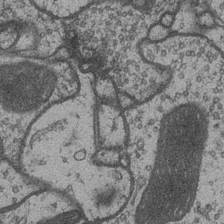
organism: Drosophila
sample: Optic medulla